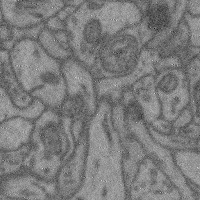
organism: Mouse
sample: Cerebral cortex